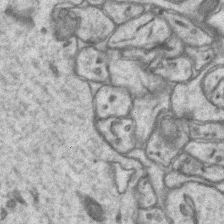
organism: Mouse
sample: CA1 Hippocampus